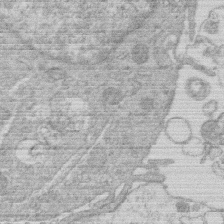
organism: Human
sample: Macrophage cells